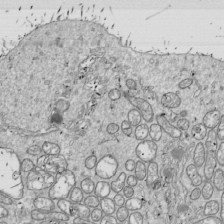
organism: Drosophila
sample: Cell division; meiosis; drosophila spermatocytes